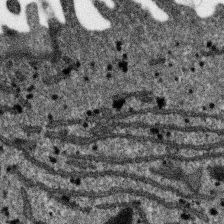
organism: Human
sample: Lung epithelial cells infected with SARS-CoV-2